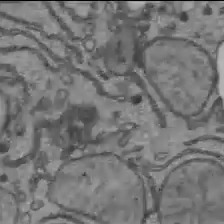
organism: C57BL Mouse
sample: Liver